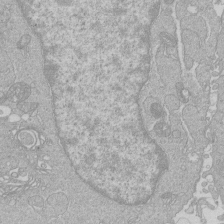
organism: Human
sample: Macrophage cells